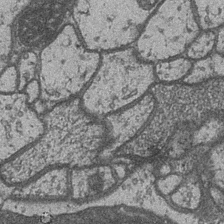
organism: Drosophila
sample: Optic medulla